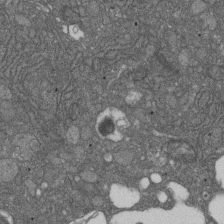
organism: Drosophila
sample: Nephrocyte